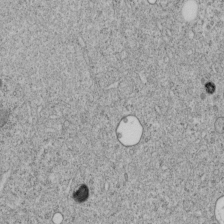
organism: C. elegans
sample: C. elegans embryo early stage